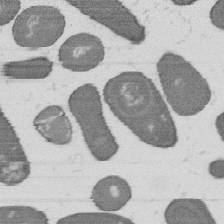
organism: B. subtilis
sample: Bacterial spore